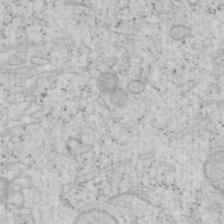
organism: Human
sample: HeLa cells